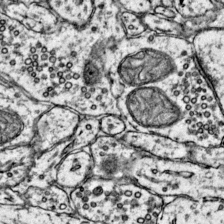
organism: Mouse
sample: Primary visual cortex